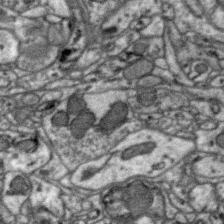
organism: Zebra finch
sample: Brain